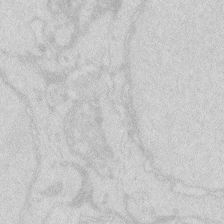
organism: Zebrafish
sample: Macrophage